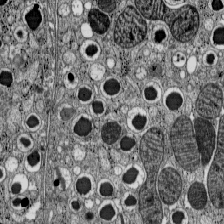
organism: C57BL Mouse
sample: Pancreatic islet